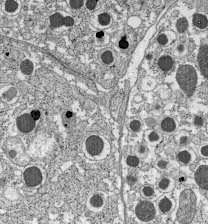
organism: C57BL Mouse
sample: Pancreatic islet